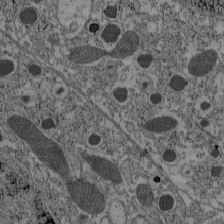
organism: C57BL Mouse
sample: Pancreatic islet